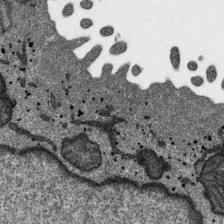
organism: Human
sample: Lung epithelial cells, uninfected (mock) control